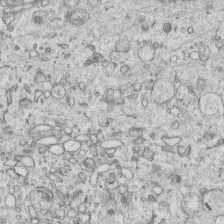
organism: Human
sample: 1205lu cells